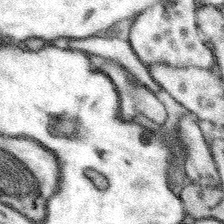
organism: Mouse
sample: Somatosensory cortex neuropil